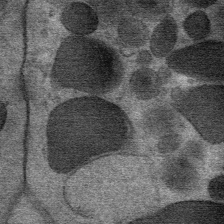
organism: Mouse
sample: Mouse Salivary gland